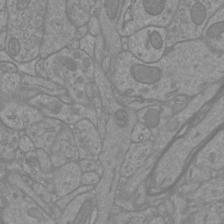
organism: Mouse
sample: Cortical neurons